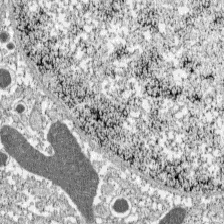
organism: C57BL Mouse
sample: Pancreatic islet